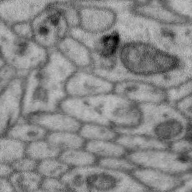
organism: Zebra finch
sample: Brain